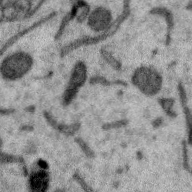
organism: Zebra finch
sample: Brain